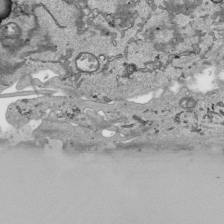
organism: Human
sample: Mitochondria in HCT116 cells